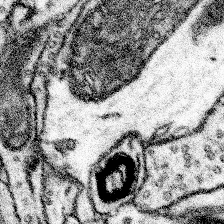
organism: Mouse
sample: Somatosensory cortex neuropil